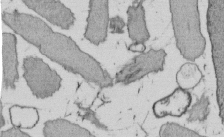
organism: E. coli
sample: Bacterial nucleoid